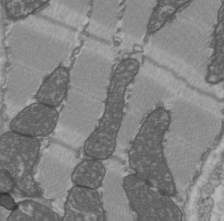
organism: C57BL Mouse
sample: Heart